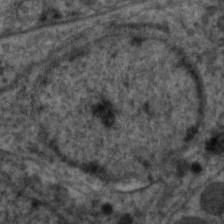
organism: C. elegans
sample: Pharynx